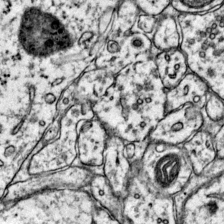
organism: Mouse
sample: Primary visual cortex